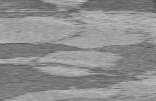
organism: C57BL Mouse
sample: Heart